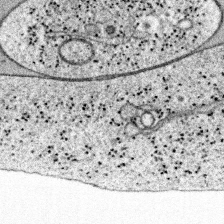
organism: Human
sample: HeLa cells